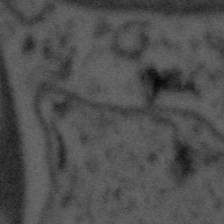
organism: Tuwongella immobilis